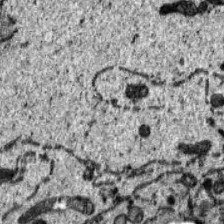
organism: Human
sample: HeLa cells